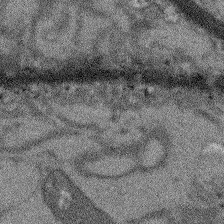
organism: Arabidopsis thaliana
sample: Root tip